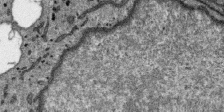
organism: Human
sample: Lung epithelial cells, uninfected (mock) control